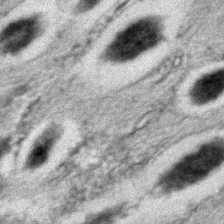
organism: C. elegans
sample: C. elegans embryo